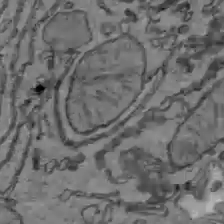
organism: C57BL Mouse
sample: Liver